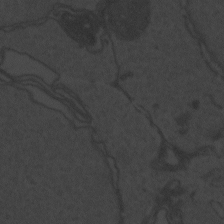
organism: Zebrafish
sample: Macrophage infected with Toxoplasma gondii